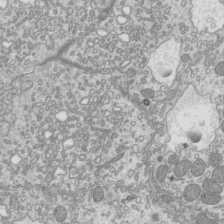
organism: Mouse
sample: Cilia; mouse epididymis